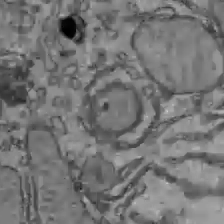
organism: C57BL Mouse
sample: Liver